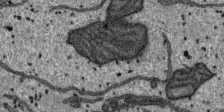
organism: Human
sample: Lung epithelial cells, uninfected (mock) control